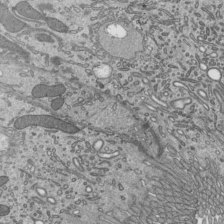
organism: Mouse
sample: Mouse epididymis efferent ductule cilia